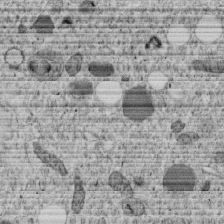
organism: C. elegans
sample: C. elegans embryo early stage